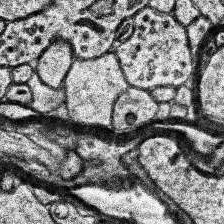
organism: Human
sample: Temporal Lobe